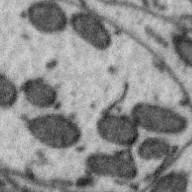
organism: Zebra finch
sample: Brain